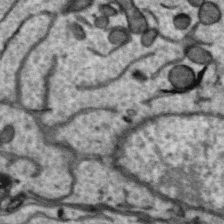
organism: Zebra finch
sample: Brain